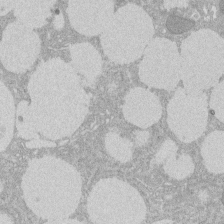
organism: Rat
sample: Salivary granule